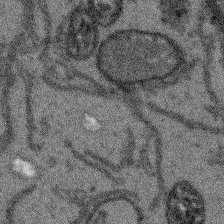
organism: Arabidopsis thaliana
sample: Root tip